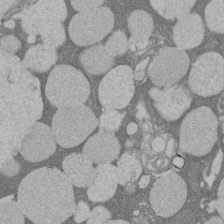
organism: Rat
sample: Salivary granule